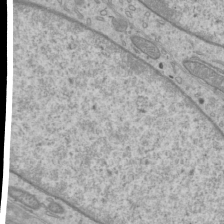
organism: Mouse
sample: Cilia; mouse epididymis